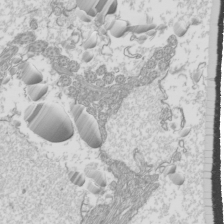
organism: Mouse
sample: Cilia; mouse epididymis